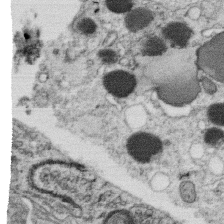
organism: C. elegans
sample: C. elegans oocyte; sperm cells